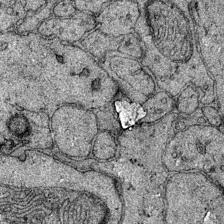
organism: Mouse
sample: Primary visual cortex